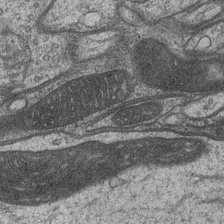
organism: Drosophila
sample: Optic medulla